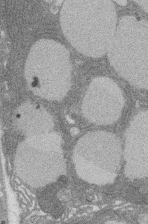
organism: Rat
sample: Salivary granule